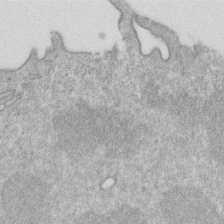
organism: Mouse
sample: Activated OT-1 CD8+ T cells